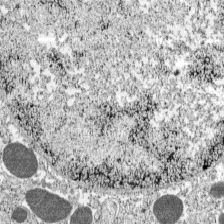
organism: C57BL Mouse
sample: Pancreatic islet